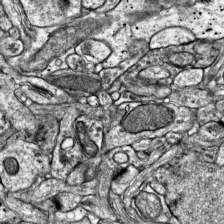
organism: Mouse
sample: Visual Cortex